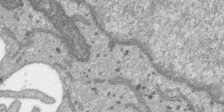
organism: Human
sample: Lung epithelial cells infected with SARS-CoV-2